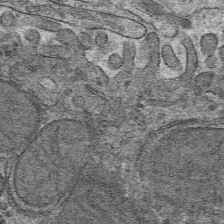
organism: Mouse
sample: Mouse hepatocytes